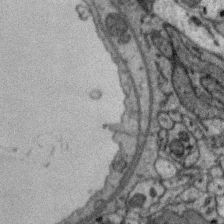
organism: Zebra finch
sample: Brain